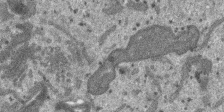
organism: Human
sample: Lung epithelial cells infected with SARS-CoV-2